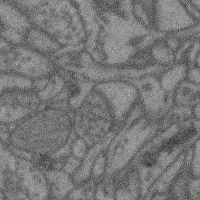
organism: Mouse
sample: Cerebral cortex